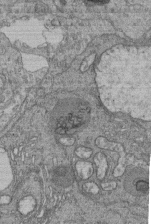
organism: Human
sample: Retinal organoid Rod and Cone cells